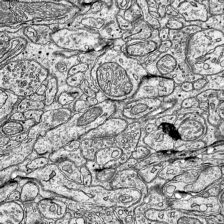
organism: Mouse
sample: Visual Cortex